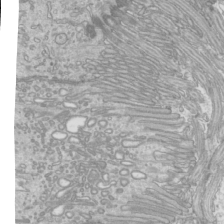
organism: Mouse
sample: Cilia; mouse epididymis